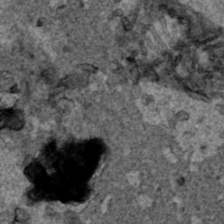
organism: Human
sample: Mitochondria in HCT116 cells